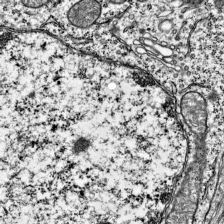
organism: Mouse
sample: Visual Cortex